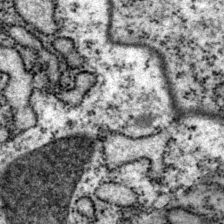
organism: P. pacificus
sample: Pharynx